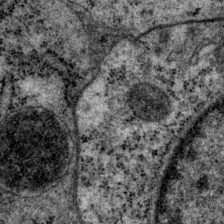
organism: P. pacificus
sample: Pharynx